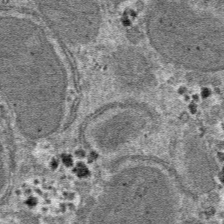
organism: Mouse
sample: Mouse hepatocytes